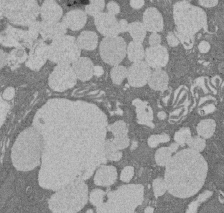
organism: Rat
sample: Salivary granule